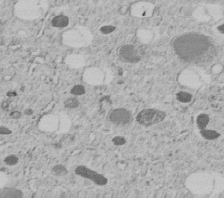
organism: C. elegans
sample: C. elegans embryo early stage